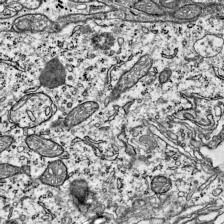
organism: Mouse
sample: Visual Cortex